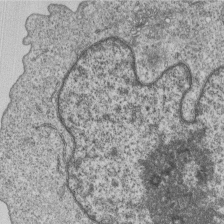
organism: Human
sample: MDA-MB-231 cells